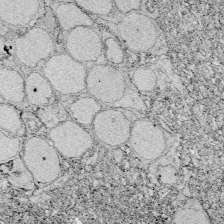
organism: Zebrafish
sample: Whole-Brain